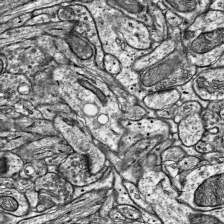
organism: Mouse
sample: Visual Cortex